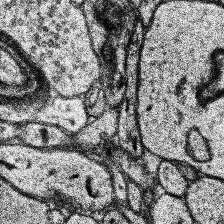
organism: Human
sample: Temporal Lobe